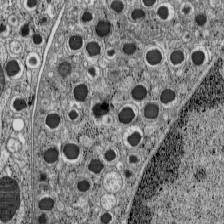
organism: C57BL Mouse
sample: Pancreatic islet